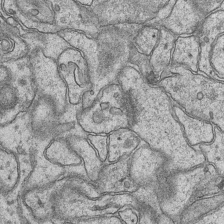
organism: Mouse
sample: CA1 Hippocampus